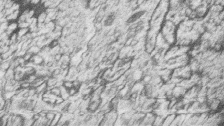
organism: Zebrafish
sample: synaptic ribbons in rod cells and cone cells